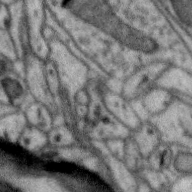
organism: Zebra finch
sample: Brain